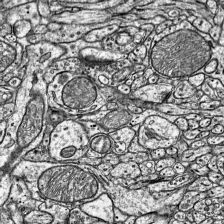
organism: Mouse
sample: Visual Cortex